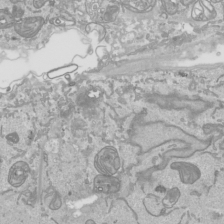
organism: Human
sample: Mitochondria in HCT116 cells